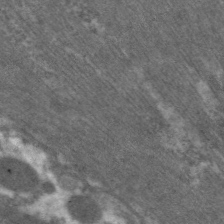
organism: C. elegans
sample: Pharynx